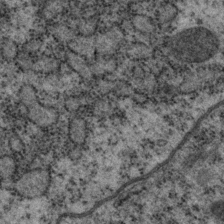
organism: P. pacificus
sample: Pharynx